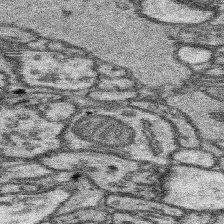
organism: Mouse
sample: Somatosensory cortex neuropil